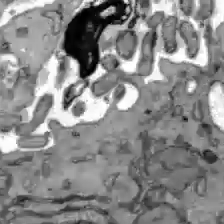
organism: C57BL Mouse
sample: Liver